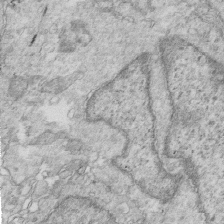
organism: Mouse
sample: Multiciliated cells